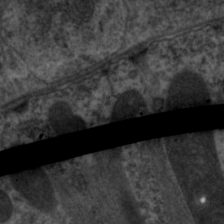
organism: C. elegans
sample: Pharynx